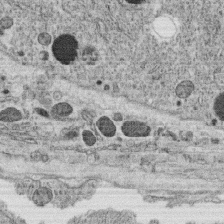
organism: C. elegans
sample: C. elegans oocyte; sperm cells